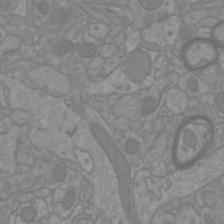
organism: Mouse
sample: Cortical neurons